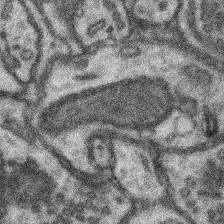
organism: Mouse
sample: Somatosensory cortex neuropil